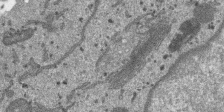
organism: Human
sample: Lung epithelial cells infected with SARS-CoV-2